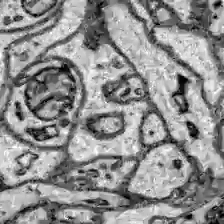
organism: Zebrafish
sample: Brain